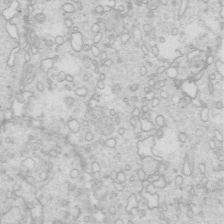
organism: Mouse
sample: Multiciliated cells